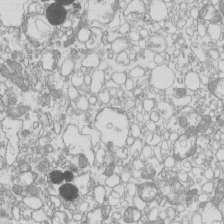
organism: Mouse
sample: Macrophages